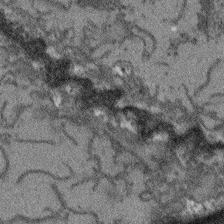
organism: Arabidopsis thaliana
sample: Root tip